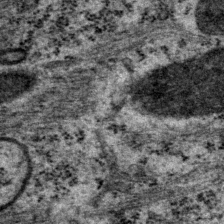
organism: P. pacificus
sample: Pharynx